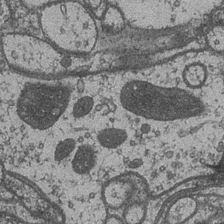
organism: Drosophila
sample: Optic medulla